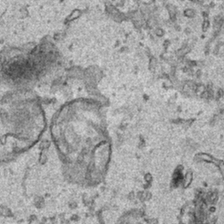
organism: Human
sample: Mitochondria in HCT116 cells